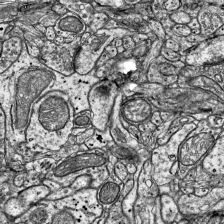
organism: Mouse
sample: Visual Cortex